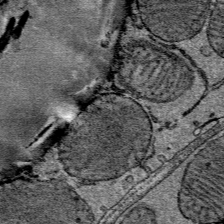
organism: Mouse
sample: Mouse Salivary gland